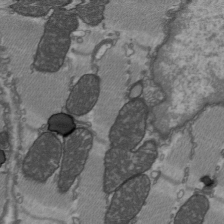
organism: C57BL Mouse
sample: Heart